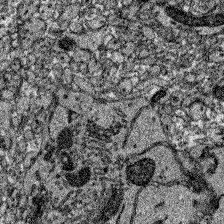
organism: Zebrafish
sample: Larval olfactory bulb